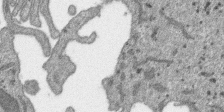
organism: Human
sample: Lung epithelial cells infected with SARS-CoV-2